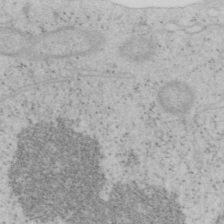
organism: Human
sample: HeLa cells